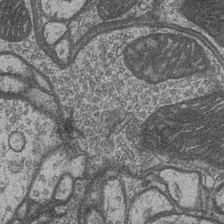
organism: Drosophila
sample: Optic medulla